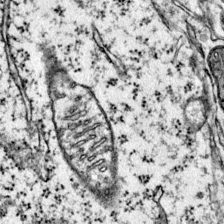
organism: Mouse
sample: Primary visual cortex